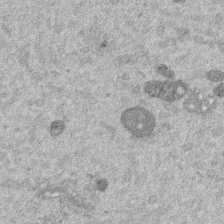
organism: Mouse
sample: Dividing mouse embryo 1 cell stage